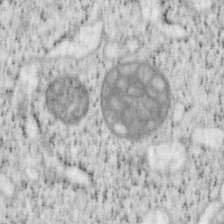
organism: Mouse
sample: OT-I killer T cells with ID8 ovarian cancer cells